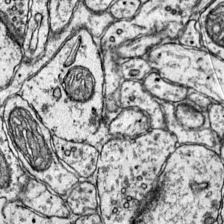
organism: Mouse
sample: Primary visual cortex